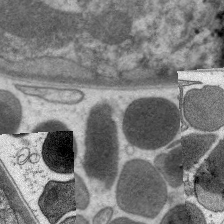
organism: C. elegans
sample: Pharynx